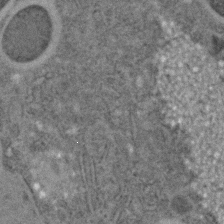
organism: C. elegans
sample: C. elegans embryo